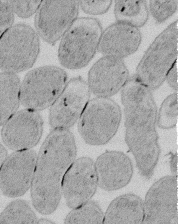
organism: E. coli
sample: Bacterial nucleoid